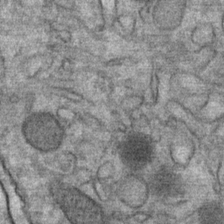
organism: Mouse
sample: Mouse Salivary gland